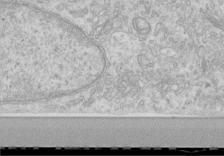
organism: Human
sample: Centriole in RPE cells